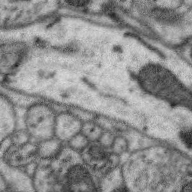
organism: Zebra finch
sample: Brain